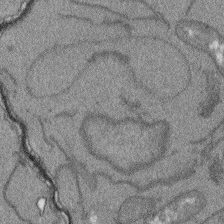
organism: Arabidopsis thaliana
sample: Root tip